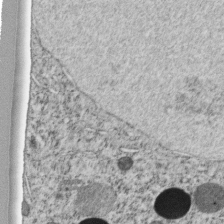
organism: C. elegans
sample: C. elegans embryo early stage